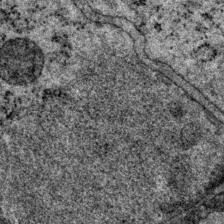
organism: P. pacificus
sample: Pharynx